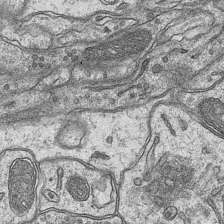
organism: Mouse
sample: CA1 Hippocampus